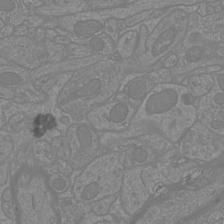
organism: Mouse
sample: Cortical neurons